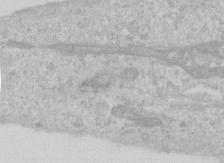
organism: Human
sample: Centriole in RPE cells